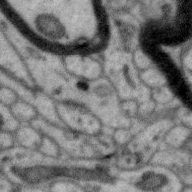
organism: Zebra finch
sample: Brain